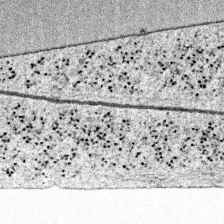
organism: Human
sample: HeLa cells